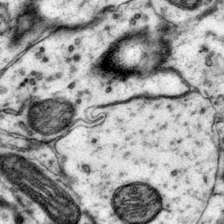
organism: Mouse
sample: Primary visual cortex